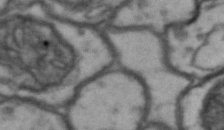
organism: Drosophila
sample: Brain